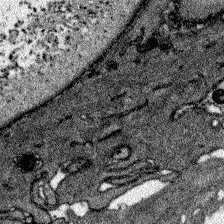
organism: Zebrafish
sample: Larval olfactory bulb